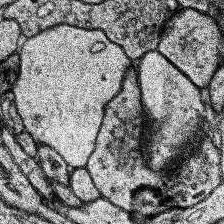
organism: Human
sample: Temporal Lobe